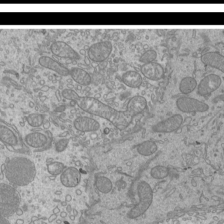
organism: Mouse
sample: Cilia; mouse epididymis